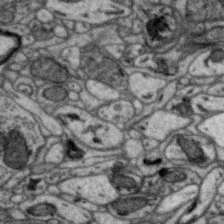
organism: Zebra finch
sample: Brain